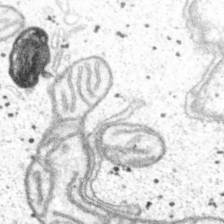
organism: Human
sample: HeLa cells